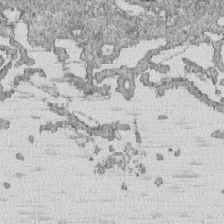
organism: Human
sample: HeLa cell HIV synapse